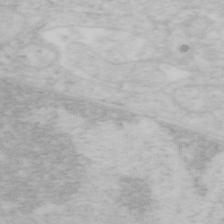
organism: Mouse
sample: OT-I killer T cells with ID8 ovarian cancer cells